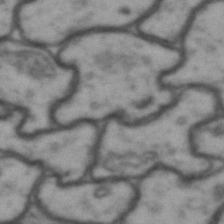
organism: Drosophila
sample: Brain